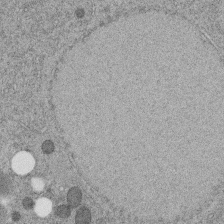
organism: C. elegans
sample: C. elegans embryo early stage